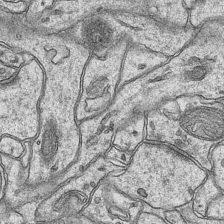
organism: Mouse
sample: CA1 Hippocampus